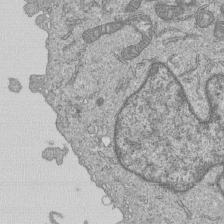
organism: Human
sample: MDA-MB-231 cells